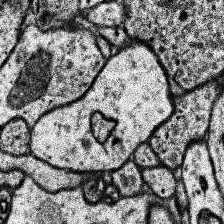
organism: Human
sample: Temporal Lobe